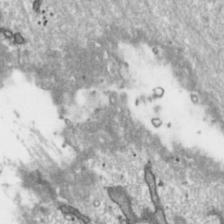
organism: Toxoplasma gondii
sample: Parasites in a vacuole inside a host cell